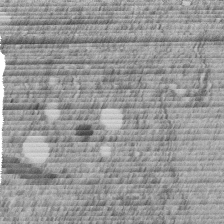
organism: C. elegans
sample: C. elegans embryo early stage